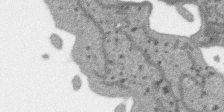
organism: Human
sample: Lung epithelial cells infected with SARS-CoV-2